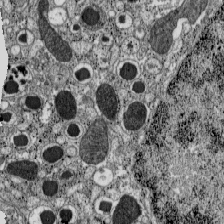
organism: C57BL Mouse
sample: Pancreatic islet